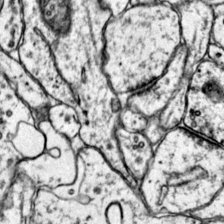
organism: Mouse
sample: Primary visual cortex